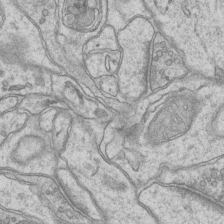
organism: Mouse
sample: CA1 Hippocampus